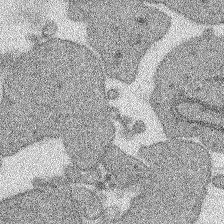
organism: Human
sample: HeLa cells